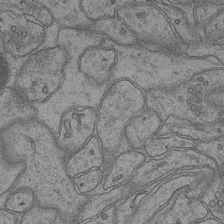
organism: Mouse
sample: CA1 Hippocampus